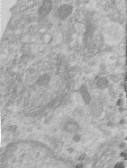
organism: Human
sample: Centriole in RPE cells